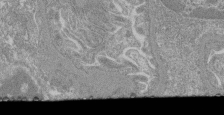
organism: Mouse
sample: Glomerulus